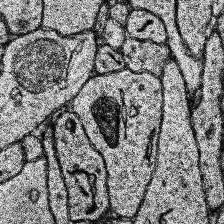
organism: Human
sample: Temporal Lobe